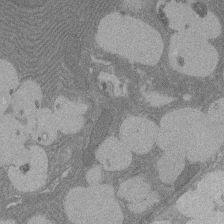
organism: Rat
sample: Salivary granule